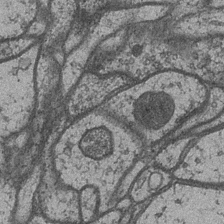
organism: Drosophila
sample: Optic medulla